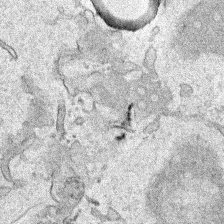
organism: Human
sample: Mitochondria in HCT116 cells